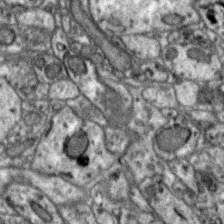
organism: Zebra finch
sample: Brain